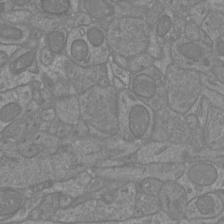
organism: Mouse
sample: Cortical neurons